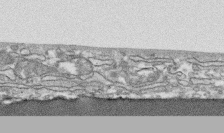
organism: Human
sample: CRL-1474